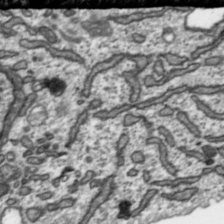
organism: Toxoplasma gondii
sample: Parasites in a vacuole inside a host cell